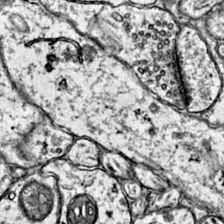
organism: Mouse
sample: Primary visual cortex